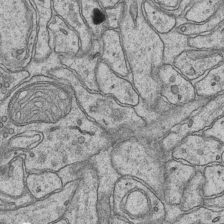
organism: Mouse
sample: CA1 Hippocampus